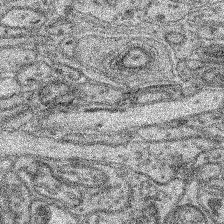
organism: Mouse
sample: Retina